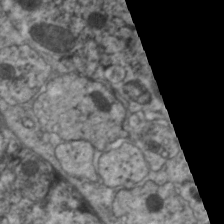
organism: C. elegans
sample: Pharynx